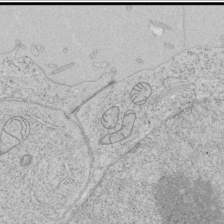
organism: Human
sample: Mitochondria in HCT116 cells